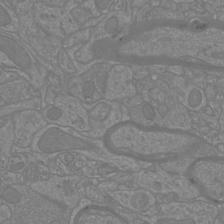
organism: Mouse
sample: Cortical neurons